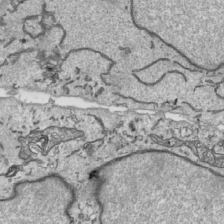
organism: Human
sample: Mitochondria in HCT116 cells